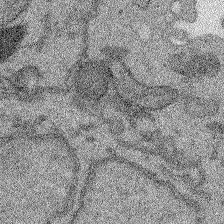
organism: Human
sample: HeLa cells